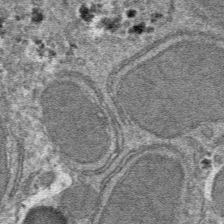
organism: Mouse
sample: Mouse hepatocytes